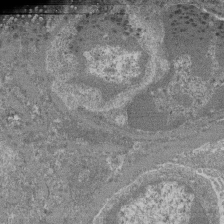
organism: Mouse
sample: Glomerulus